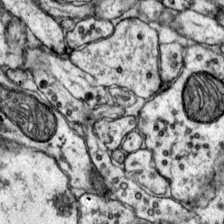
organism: Mouse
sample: Primary visual cortex